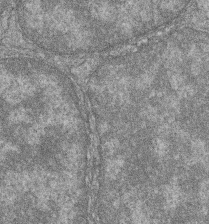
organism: Zebrafish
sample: Cilia; retinal pigment epithelium